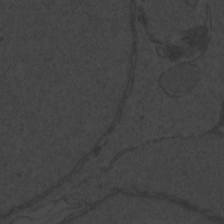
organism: Zebrafish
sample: Macrophage infected with Toxoplasma gondii